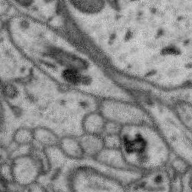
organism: Zebra finch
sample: Brain